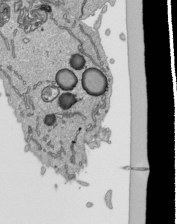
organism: Human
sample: Mitochondria in HCT116 cells